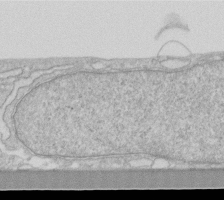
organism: Human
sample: Fibroblast cells